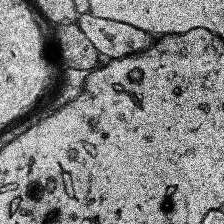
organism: Human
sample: Temporal Lobe